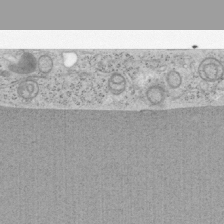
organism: Human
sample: HeLa cells